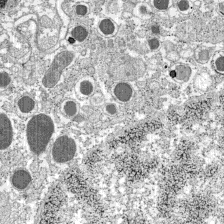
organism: C57BL Mouse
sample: Pancreatic islet